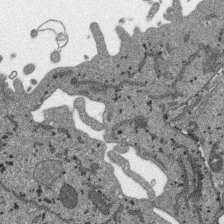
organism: Human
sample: Lung epithelial cells infected with SARS-CoV-2